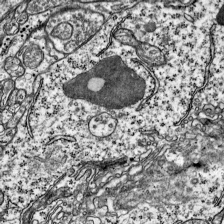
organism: Mouse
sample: Visual Cortex